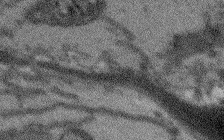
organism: Arabidopsis thaliana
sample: Root tip